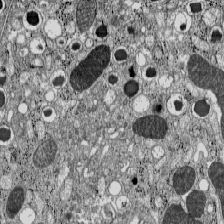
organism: C57BL Mouse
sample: Pancreatic islet